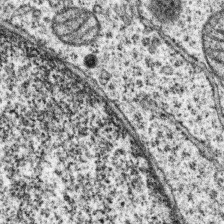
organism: Human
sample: HeLa cells